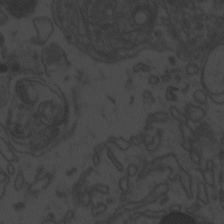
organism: Zebrafish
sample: Macrophage infected with Toxoplasma gondii